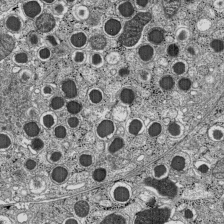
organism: C57BL Mouse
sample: Pancreatic islet